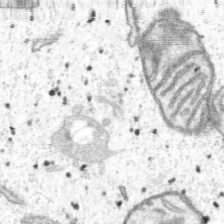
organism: Human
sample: HeLa cells